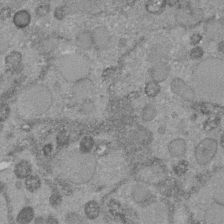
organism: C. elegans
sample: C. elegans embryo early stage